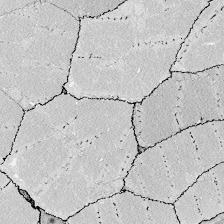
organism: Zebrafish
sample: Whole-Brain